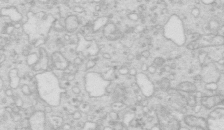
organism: Mouse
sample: Multiciliated cells